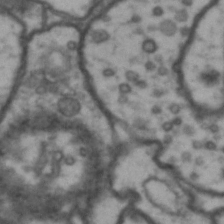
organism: Drosophila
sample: Brain